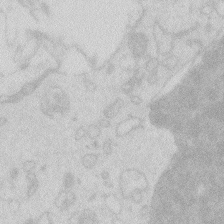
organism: Zebrafish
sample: Macrophage